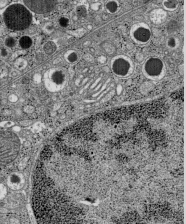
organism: C57BL Mouse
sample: Pancreatic islet